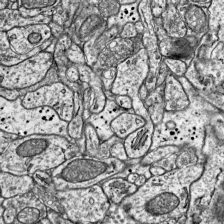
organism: Mouse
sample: Visual Cortex